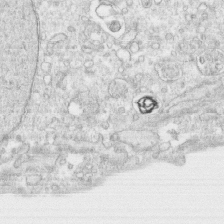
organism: Human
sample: CRL-1474